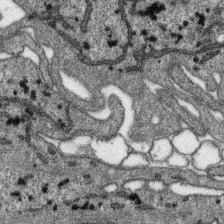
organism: Human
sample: Lung epithelial cells infected with SARS-CoV-2